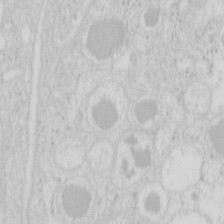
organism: Mouse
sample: Pancreas